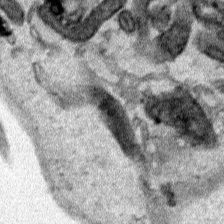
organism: Human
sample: Mitochondria in HCT116 cells